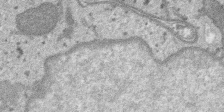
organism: Human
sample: Lung epithelial cells infected with SARS-CoV-2